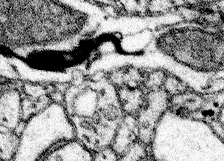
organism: Mouse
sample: Somatosensory cortex neuropil